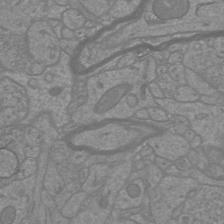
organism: Mouse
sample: Cortical neurons